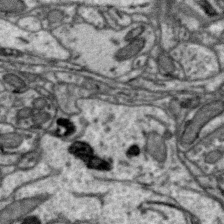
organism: Zebra finch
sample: Brain